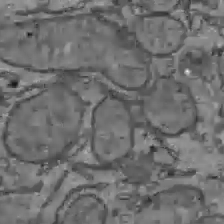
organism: C57BL Mouse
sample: Liver